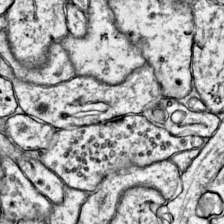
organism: Mouse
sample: Primary visual cortex